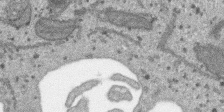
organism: Human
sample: Lung epithelial cells infected with SARS-CoV-2